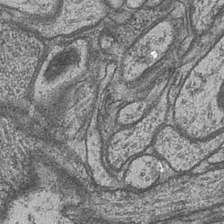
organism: Drosophila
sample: Optic medulla